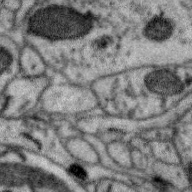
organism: Zebra finch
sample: Brain